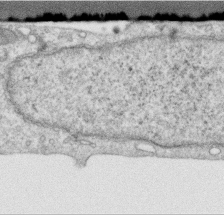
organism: Human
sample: Centriole in RPE cells